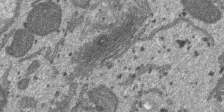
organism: Human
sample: Lung epithelial cells infected with SARS-CoV-2